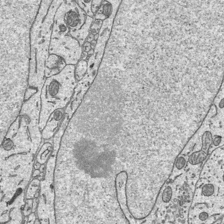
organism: Mouse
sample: Suprachiasmatic nucleus